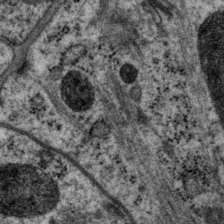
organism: P. pacificus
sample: Pharynx